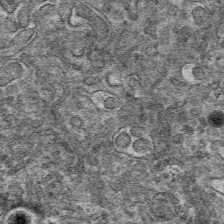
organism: Mouse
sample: Mouse hepatocytes